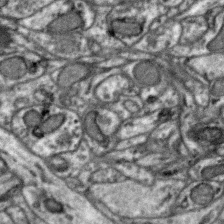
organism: Zebra finch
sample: Brain